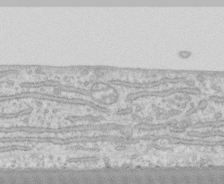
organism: Human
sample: CRL-1474